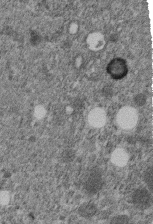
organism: C. elegans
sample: C. elegans embryo early stage